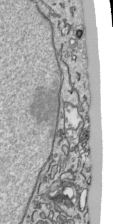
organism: Human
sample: Mitochondria in HCT116 cells